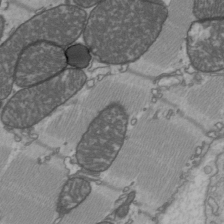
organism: C57BL Mouse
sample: Heart